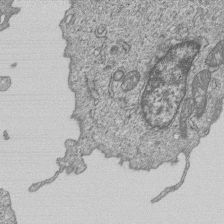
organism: Human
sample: MDA-MB-231 cells